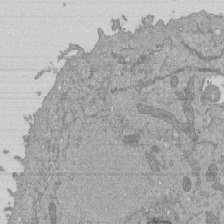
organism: Mouse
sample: ED-1 cell nuclei; centrioles